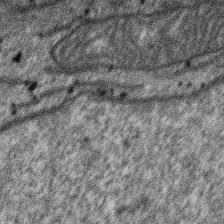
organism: Human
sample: Lung epithelial cells infected with SARS-CoV-2